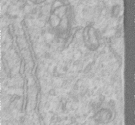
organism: Human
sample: Centriole in RPE cells